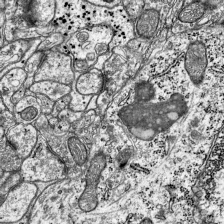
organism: Mouse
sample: Visual Cortex